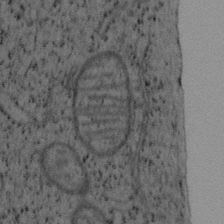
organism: Human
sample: HeLa cells